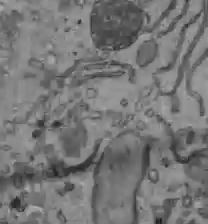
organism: C57BL Mouse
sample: Liver